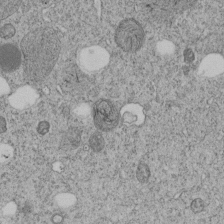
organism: C. elegans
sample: C. elegans embryo early stage